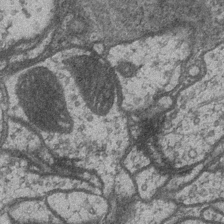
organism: Drosophila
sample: Optic medulla